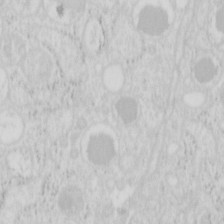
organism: Mouse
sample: Pancreas